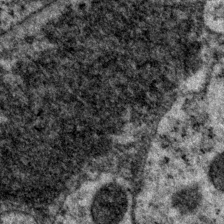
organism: P. pacificus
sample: Pharynx